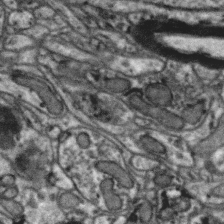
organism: Zebra finch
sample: Brain